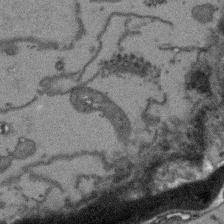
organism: Arabidopsis thaliana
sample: Root tip